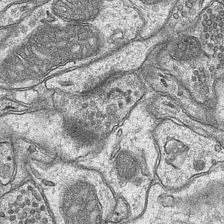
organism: Mouse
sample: CA1 Hippocampus